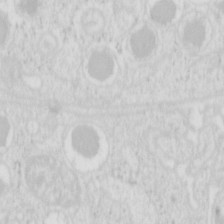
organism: Mouse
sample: Pancreas